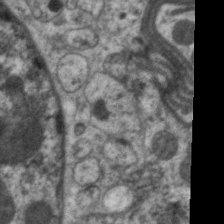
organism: C. elegans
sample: Pharynx